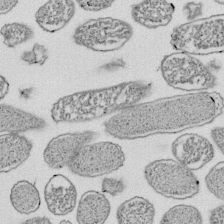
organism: E. coli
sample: Bacterial nucleoid